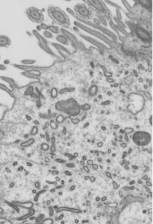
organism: Mouse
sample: Mouse epididymis efferent ductule cilia